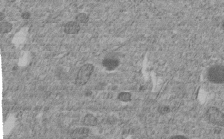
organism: C. elegans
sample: C. elegans embryo early stage